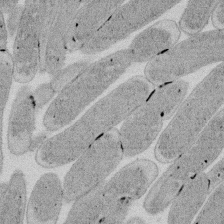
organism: E. coli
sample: Bacterial nucleoid